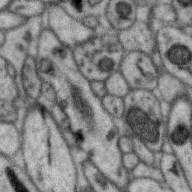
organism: Zebra finch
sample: Brain